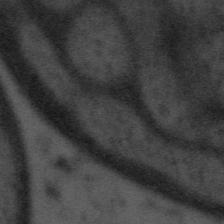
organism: Tuwongella immobilis